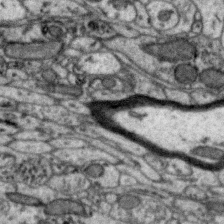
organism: Zebra finch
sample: Brain